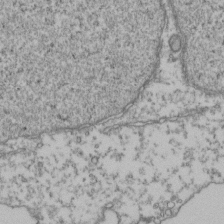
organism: Human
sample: Activated Jurkat CD4+ T cells